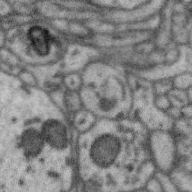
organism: Zebra finch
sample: Brain